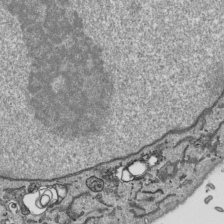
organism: Human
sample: Mitochondria in HCT116 cells